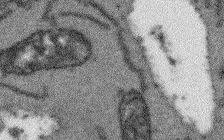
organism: Arabidopsis thaliana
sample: Root tip